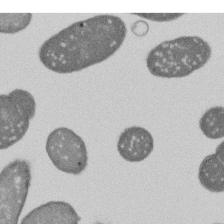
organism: E. coli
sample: Bacterial nucleoid